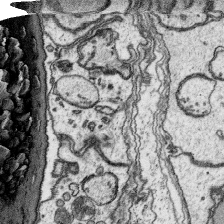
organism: Platynereis dumerilii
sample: Parapodia